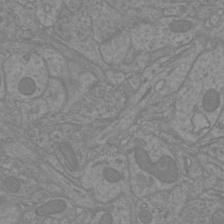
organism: Mouse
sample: Cortical neurons